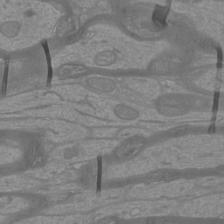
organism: Mouse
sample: Cortical neurons